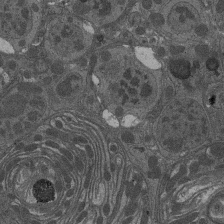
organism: Drosophila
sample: Antenna